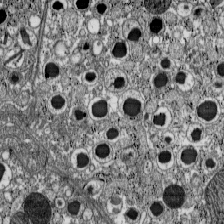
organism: C57BL Mouse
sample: Pancreatic islet